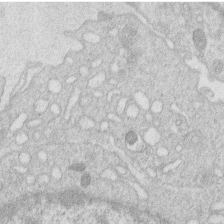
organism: Human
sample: Macrophage cells